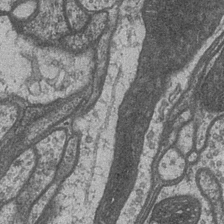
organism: Drosophila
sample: Optic medulla